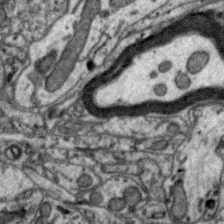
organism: Zebra finch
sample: Brain